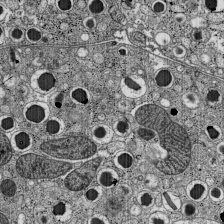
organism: C57BL Mouse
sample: Pancreatic islet